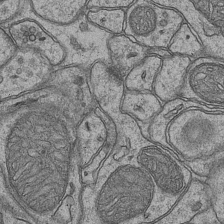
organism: Mouse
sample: CA1 Hippocampus